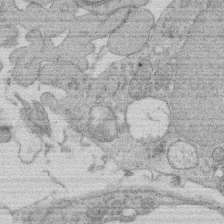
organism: Rat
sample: Salivary granule